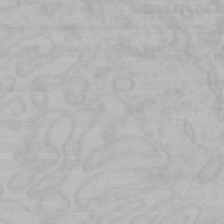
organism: Mouse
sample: Choroid plexus